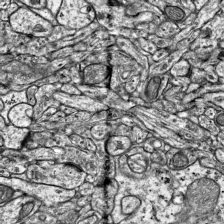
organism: Mouse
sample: Visual Cortex